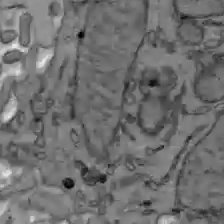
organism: C57BL Mouse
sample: Liver